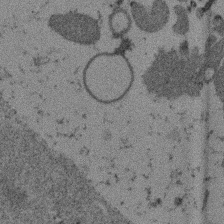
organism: Mouse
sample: Dividing mouse embryo 1 cell stage